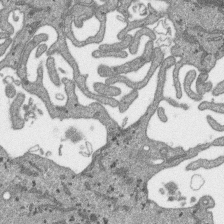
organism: Human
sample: Lung epithelial cells infected with SARS-CoV-2